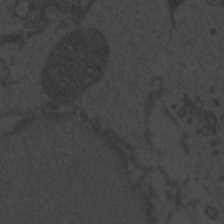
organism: Zebrafish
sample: Macrophage infected with Toxoplasma gondii